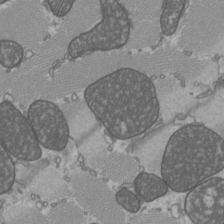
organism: C57BL Mouse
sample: Heart